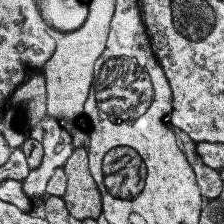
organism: Human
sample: Temporal Lobe